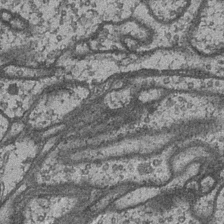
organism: Drosophila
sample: Optic medulla